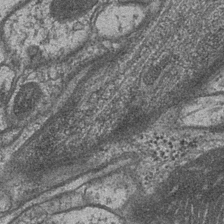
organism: Drosophila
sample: Optic medulla